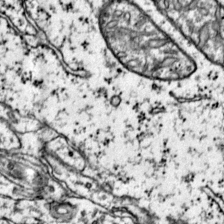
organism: Mouse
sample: Primary visual cortex